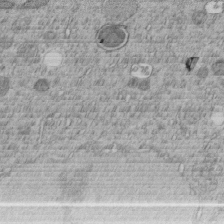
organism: C. elegans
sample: C. elegans embryo early stage